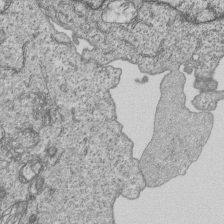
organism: Human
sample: MDA-MB-231 cells